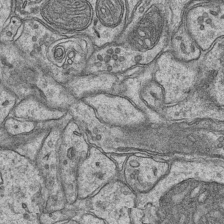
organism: Mouse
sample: CA1 Hippocampus